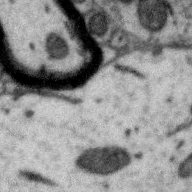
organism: Zebra finch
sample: Brain